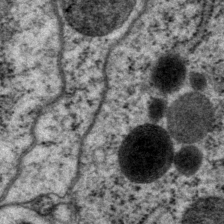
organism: P. pacificus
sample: Pharynx